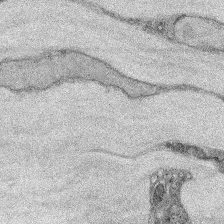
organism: Mouse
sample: Corneal nerves